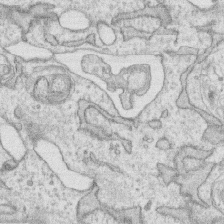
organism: Human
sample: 1205lu cells